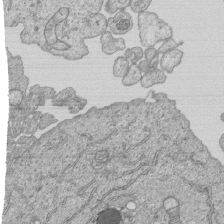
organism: Human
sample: MDA-MB-231 cells